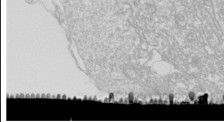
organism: Drosophila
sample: Cell division; meiosis; drosophila spermatocytes